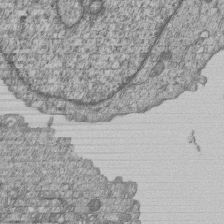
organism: Human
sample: MDA-MB-231 cells